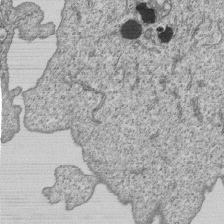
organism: Human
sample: MDA-MB-231 cells